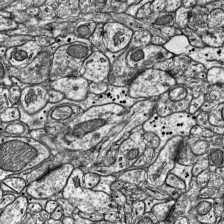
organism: Mouse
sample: Visual Cortex